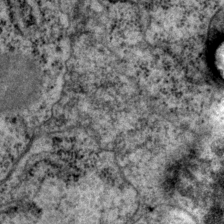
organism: P. pacificus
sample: Pharynx